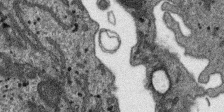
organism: Human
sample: Lung epithelial cells infected with SARS-CoV-2